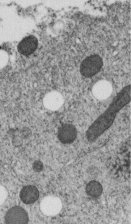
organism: C. elegans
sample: C. elegans embryo early stage